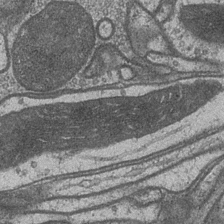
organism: Drosophila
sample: Optic medulla